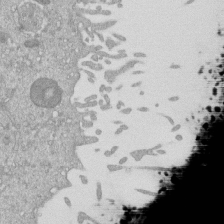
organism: Mouse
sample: ED-1 cell nuclei; centrioles